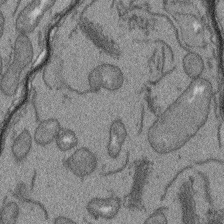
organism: Arabidopsis thaliana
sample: Root tip